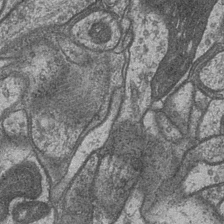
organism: Drosophila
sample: Optic medulla